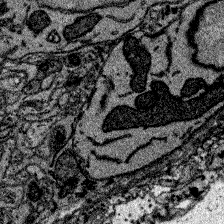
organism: Zebrafish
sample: Larval olfactory bulb